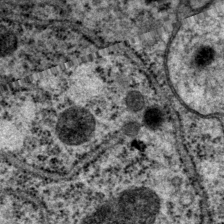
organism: P. pacificus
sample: Pharynx